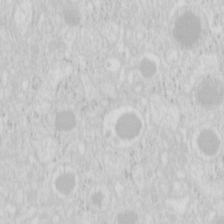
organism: Mouse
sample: Pancreas